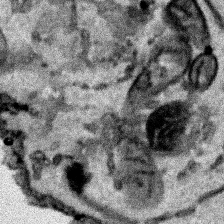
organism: Human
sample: Mitochondria in HCT116 cells